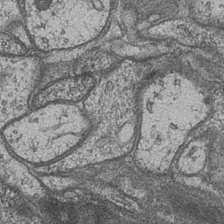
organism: Drosophila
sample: Optic medulla